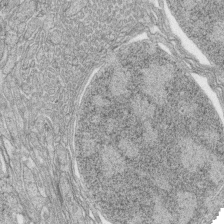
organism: Zebrafish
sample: synaptic ribbons in rod cells and cone cells